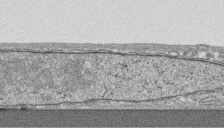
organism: Human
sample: CRL-1474